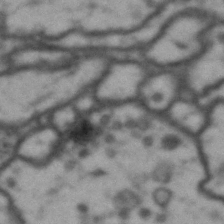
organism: Drosophila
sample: Brain